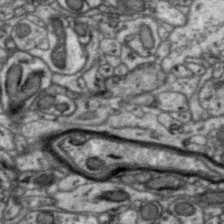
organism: Zebra finch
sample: Brain